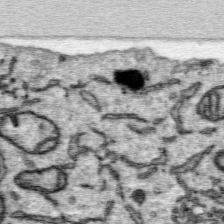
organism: Human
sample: HeLa cells